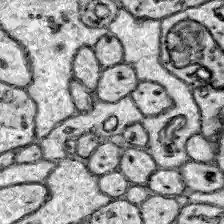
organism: Zebrafish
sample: Brain